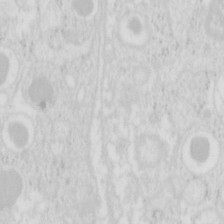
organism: Mouse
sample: Pancreas